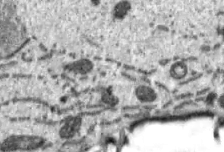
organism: Human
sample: HeLa cells